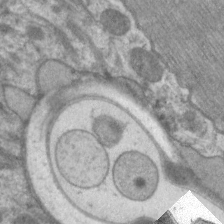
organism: C. elegans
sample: Pharynx